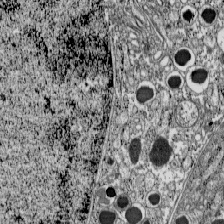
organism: C57BL Mouse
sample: Pancreatic islet